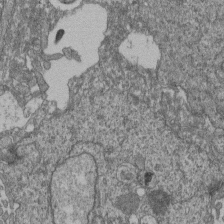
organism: Human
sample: Retinal organoid Rod and Cone cells